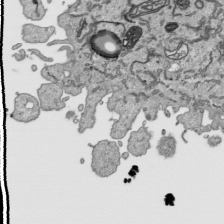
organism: Human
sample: Mitochondria in HCT116 cells